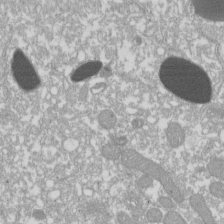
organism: Xenopus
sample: Cilia; centrioles in frog embryo cells